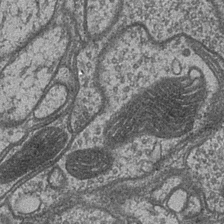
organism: Drosophila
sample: Optic medulla